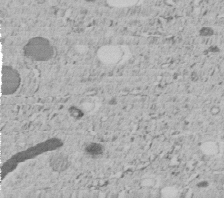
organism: C. elegans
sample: C. elegans embryo early stage